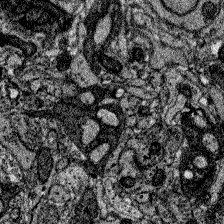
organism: Zebrafish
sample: Larval olfactory bulb